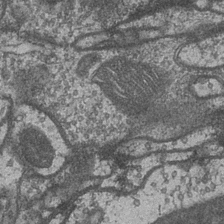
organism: Drosophila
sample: Optic medulla